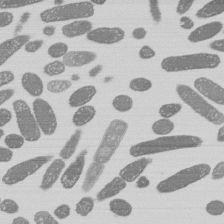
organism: E. coli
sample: Bacterial nucleoid